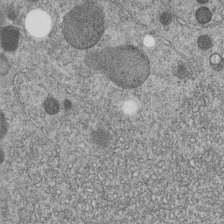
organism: C. elegans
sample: C. elegans embryo early stage